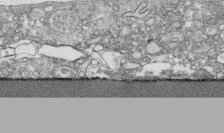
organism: Human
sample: CRL-1474